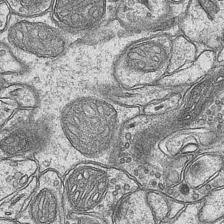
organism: Mouse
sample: CA1 Hippocampus